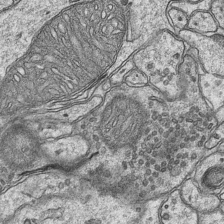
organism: Mouse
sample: CA1 Hippocampus